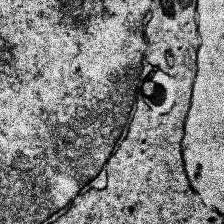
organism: Human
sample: Temporal Lobe